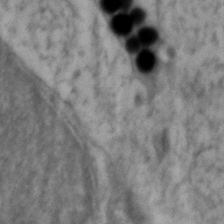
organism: Zebrafish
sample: Zebrafish embryo